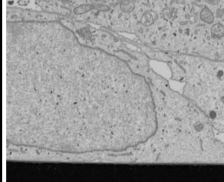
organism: Human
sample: Mitochondria in U2OS cells